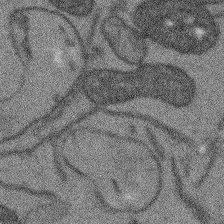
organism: Arabidopsis thaliana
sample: Root tip